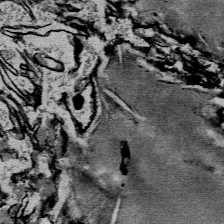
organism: Mouse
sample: Mouse Salivary gland